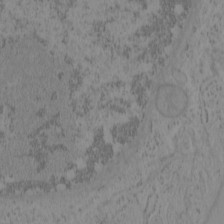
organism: Human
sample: HeLa cells